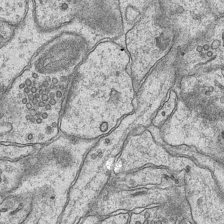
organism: Mouse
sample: CA1 Hippocampus